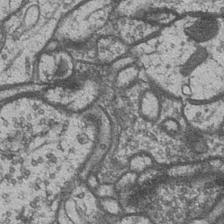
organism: Drosophila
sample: Optic medulla